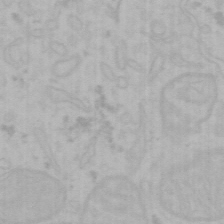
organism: Mouse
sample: Choroid plexus